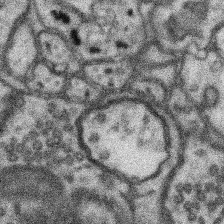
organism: Mouse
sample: Somatosensory cortex neuropil